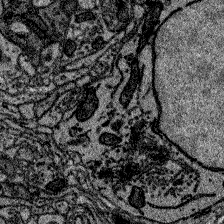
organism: Zebrafish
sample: Larval olfactory bulb